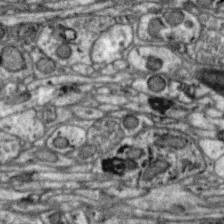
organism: Zebra finch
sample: Brain